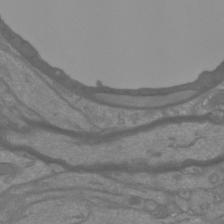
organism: Mouse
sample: Cortical neurons